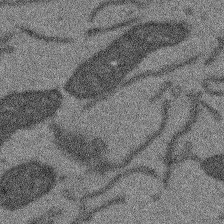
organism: Arabidopsis thaliana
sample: Root tip